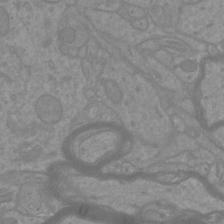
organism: Mouse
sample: Cortical neurons